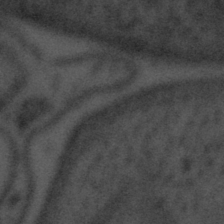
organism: Tuwongella immobilis